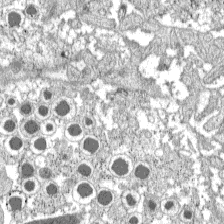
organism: C57BL Mouse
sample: Pancreatic islet